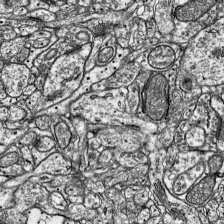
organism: Mouse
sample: Visual Cortex